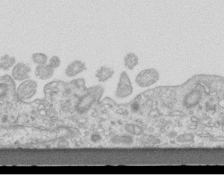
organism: Mouse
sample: Centriole in ependymal cells